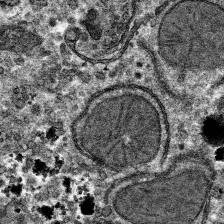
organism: Mouse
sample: Mouse hepatocytes